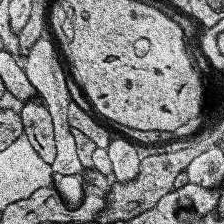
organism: Human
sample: Temporal Lobe